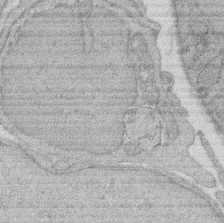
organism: Rat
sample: Salivary granule